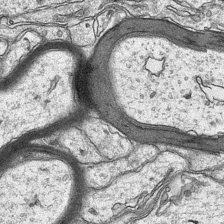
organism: Mouse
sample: CA1 Hippocampus